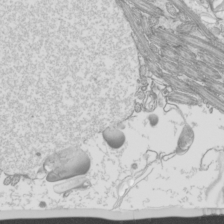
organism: Mouse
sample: Cilia; mouse epididymis